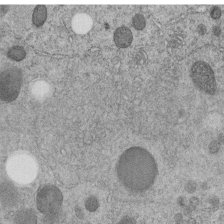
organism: C. elegans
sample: C. elegans embryo early stage